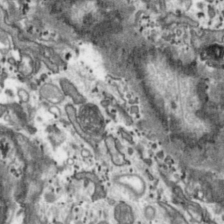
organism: Toxoplasma gondii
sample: Parasites in a vacuole inside a host cell